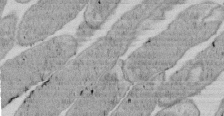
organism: E. coli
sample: Bacterial nucleoid